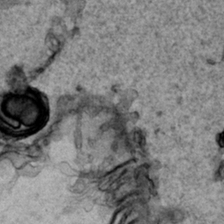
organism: Human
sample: Mitochondria in HCT116 cells